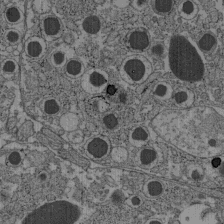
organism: C57BL Mouse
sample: Pancreatic islet